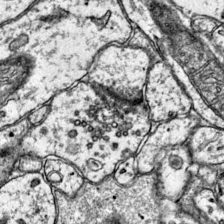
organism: Mouse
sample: Primary visual cortex